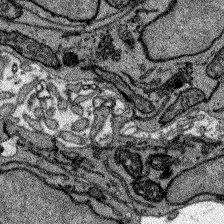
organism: Zebrafish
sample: Larval olfactory bulb